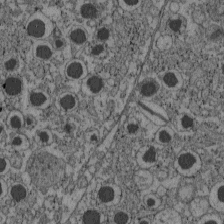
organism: C57BL Mouse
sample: Pancreatic islet